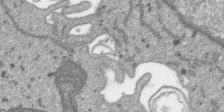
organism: Human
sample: Lung epithelial cells infected with SARS-CoV-2